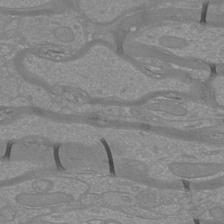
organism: Mouse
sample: Cortical neurons